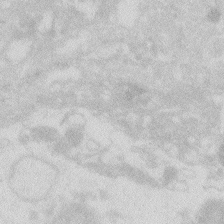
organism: Zebrafish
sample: Macrophage